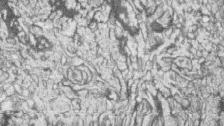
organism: Zebrafish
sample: synaptic ribbons in rod cells and cone cells